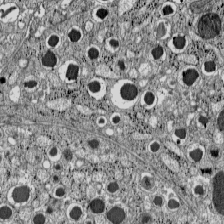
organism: C57BL Mouse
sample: Pancreatic islet